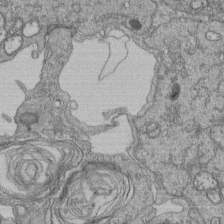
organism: Human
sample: Retinal organoid Rod and Cone cells